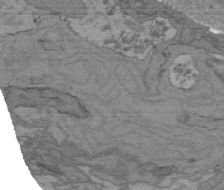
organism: C. elegans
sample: AFD neurons C. elegans